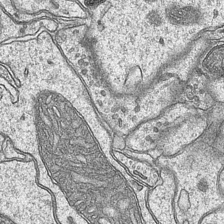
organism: Mouse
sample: CA1 Hippocampus